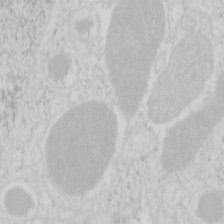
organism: Mouse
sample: Pancreas